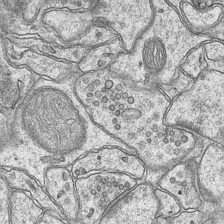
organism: Mouse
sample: CA1 Hippocampus